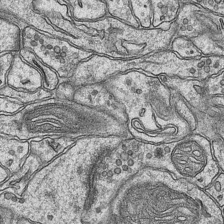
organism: Mouse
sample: CA1 Hippocampus